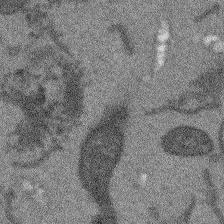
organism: Arabidopsis thaliana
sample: Root tip